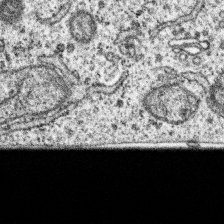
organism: Human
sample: HeLa cells